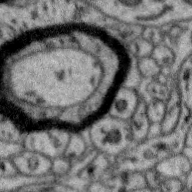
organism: Zebra finch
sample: Brain